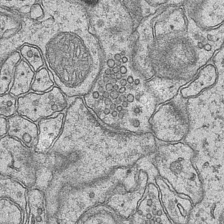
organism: Mouse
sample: CA1 Hippocampus